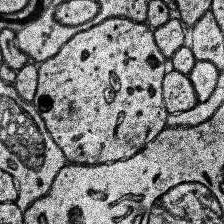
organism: Human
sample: Temporal Lobe